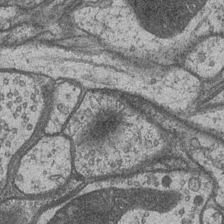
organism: Drosophila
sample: Optic medulla